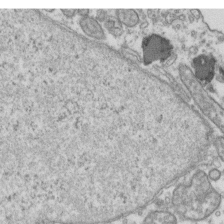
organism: Human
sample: Activated Jurkat CD4+ T cells